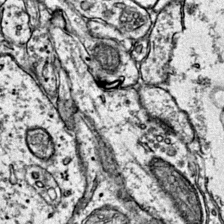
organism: Mouse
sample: Primary visual cortex